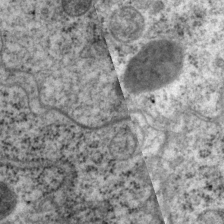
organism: P. pacificus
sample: Pharynx